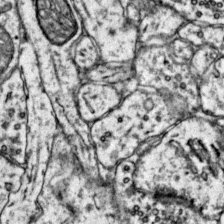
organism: Mouse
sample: Primary visual cortex